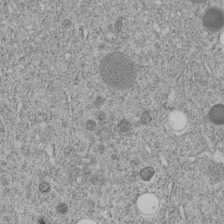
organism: C. elegans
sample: C. elegans embryo early stage